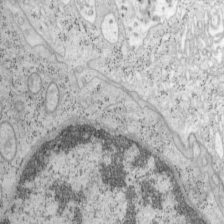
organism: Mouse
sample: OT-I killer T cells with ID8 ovarian cancer cells